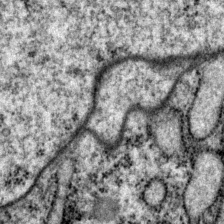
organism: P. pacificus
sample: Pharynx